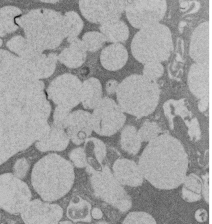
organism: Rat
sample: Salivary granule